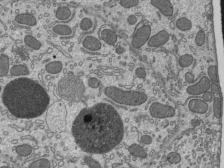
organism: Mouse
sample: Mouse epididymis efferent ductule cilia